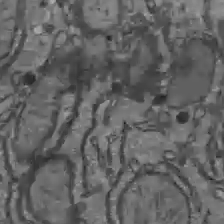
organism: C57BL Mouse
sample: Liver